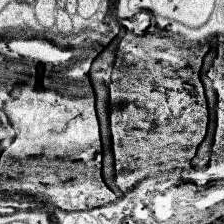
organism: Human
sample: Temporal Lobe